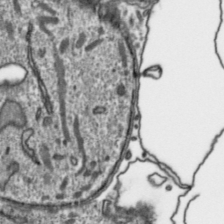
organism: Toxoplasma gondii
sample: Parasites in a vacuole inside a host cell